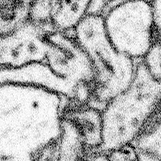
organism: Mouse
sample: Somatosensory cortex neuropil